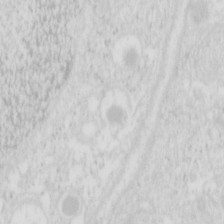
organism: Mouse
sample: Pancreas